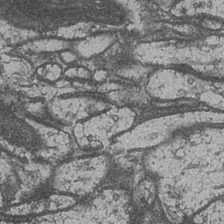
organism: Drosophila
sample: Optic medulla